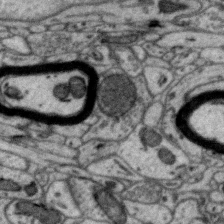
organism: Zebra finch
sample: Brain